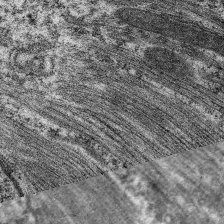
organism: C. elegans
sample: Pharynx